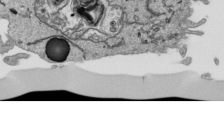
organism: Human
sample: Mitochondria in HCT116 cells